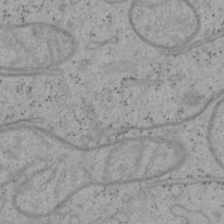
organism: Human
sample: HeLa cells